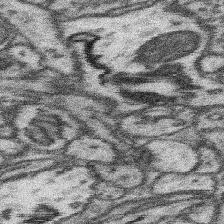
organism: Mouse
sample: Somatosensory cortex neuropil